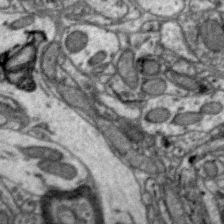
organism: Zebra finch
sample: Brain